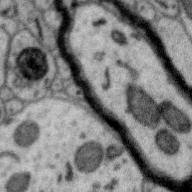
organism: Zebra finch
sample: Brain